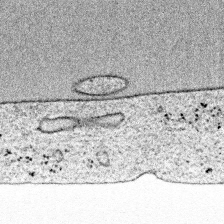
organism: Human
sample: HeLa cells